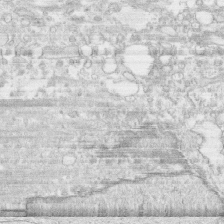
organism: Human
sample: CRL-1474